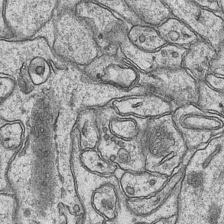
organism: Mouse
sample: CA1 Hippocampus